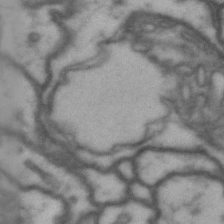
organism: Drosophila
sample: Brain